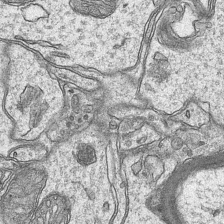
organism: Mouse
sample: CA1 Hippocampus